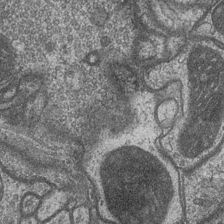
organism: Drosophila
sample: Optic medulla